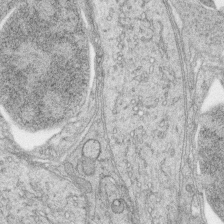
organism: Zebrafish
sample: synaptic ribbons in rod cells and cone cells